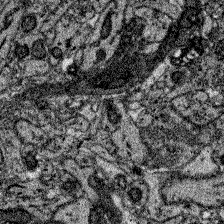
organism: Zebrafish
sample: Larval olfactory bulb